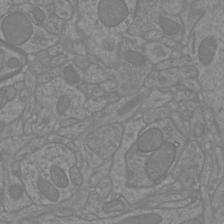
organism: Mouse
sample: Cortical neurons